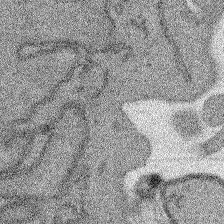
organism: Human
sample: HeLa cells